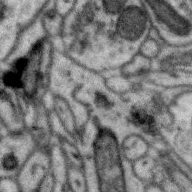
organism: Zebra finch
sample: Brain